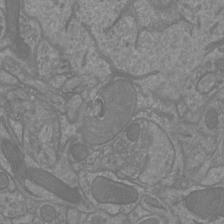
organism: Mouse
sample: Cortical neurons